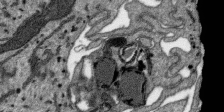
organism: Human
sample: Lung epithelial cells, uninfected (mock) control